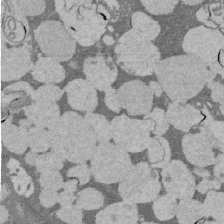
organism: Rat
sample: Salivary granule